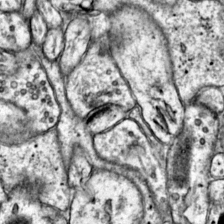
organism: Mouse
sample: Primary visual cortex